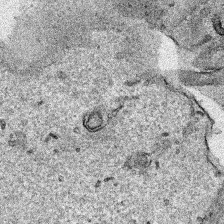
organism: Human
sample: Mitochondria in HCT116 cells